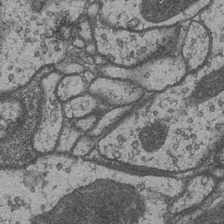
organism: Drosophila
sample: Optic medulla